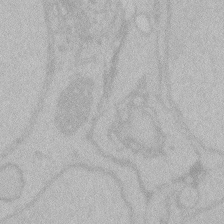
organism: Zebrafish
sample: Macrophage infected with Toxoplasma gondii